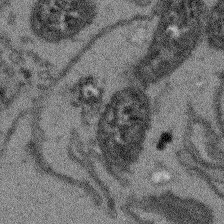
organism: Arabidopsis thaliana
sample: Root tip